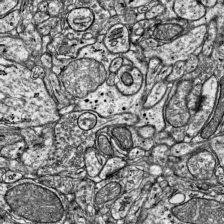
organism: Mouse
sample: Visual Cortex